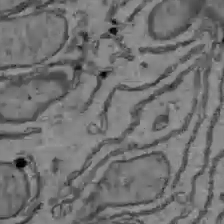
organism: C57BL Mouse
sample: Liver